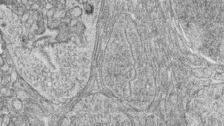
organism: Zebrafish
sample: synaptic ribbons in rod cells and cone cells